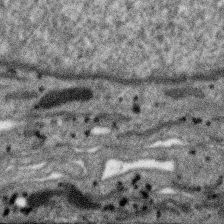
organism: Human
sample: Lung epithelial cells infected with SARS-CoV-2